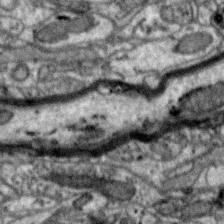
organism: Zebra finch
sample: Brain